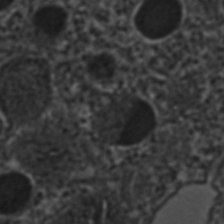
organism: C. elegans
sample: C. elegans embryo